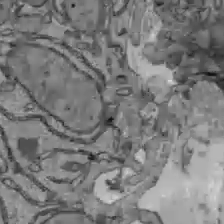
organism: C57BL Mouse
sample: Liver